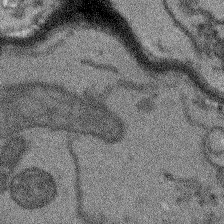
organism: Arabidopsis thaliana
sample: Root tip